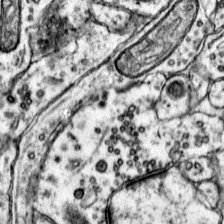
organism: Mouse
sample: Primary visual cortex